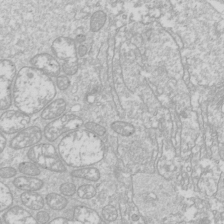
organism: Drosophila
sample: Cell division; meiosis; drosophila spermatocytes